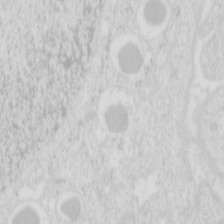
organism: Mouse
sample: Pancreas